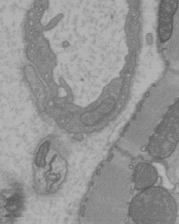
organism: C57BL Mouse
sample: Heart